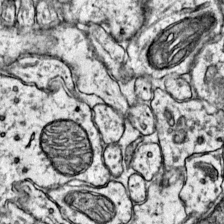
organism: Mouse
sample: Primary visual cortex